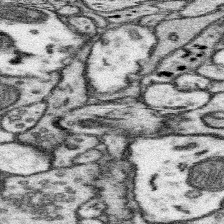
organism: Mouse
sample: Somatosensory cortex neuropil